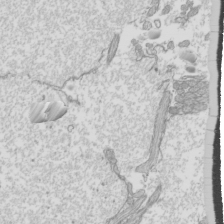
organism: Mouse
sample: Cilia; mouse epididymis